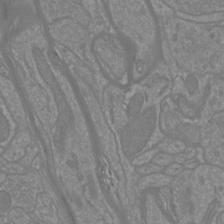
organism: Mouse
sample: Cortical neurons